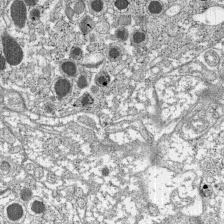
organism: C57BL Mouse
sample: Pancreatic islet